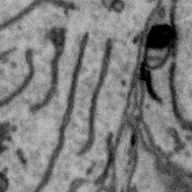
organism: Zebra finch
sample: Brain